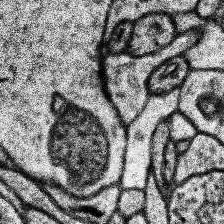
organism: Human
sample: Temporal Lobe